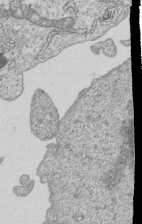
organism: Human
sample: MDA-MB-231 cells